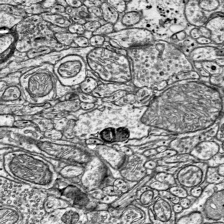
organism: Mouse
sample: Visual Cortex